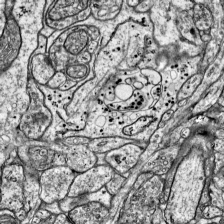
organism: Mouse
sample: Visual Cortex